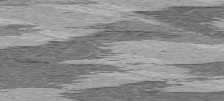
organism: C57BL Mouse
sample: Heart